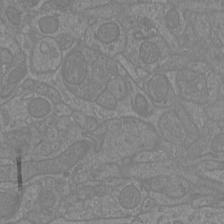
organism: Mouse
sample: Cortical neurons